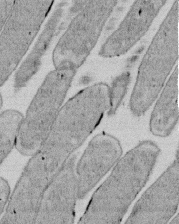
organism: E. coli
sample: Bacterial nucleoid